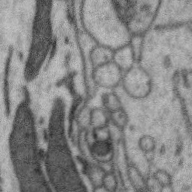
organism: Zebra finch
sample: Brain